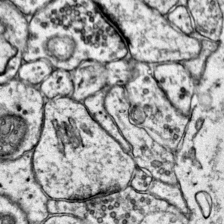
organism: Mouse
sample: Primary visual cortex